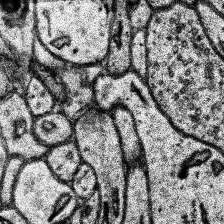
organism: Human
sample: Temporal Lobe